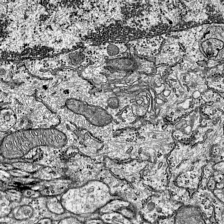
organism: Mouse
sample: Visual Cortex